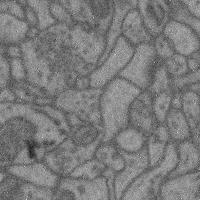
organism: Mouse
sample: Cerebral cortex